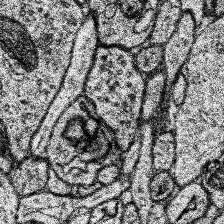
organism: Human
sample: Temporal Lobe